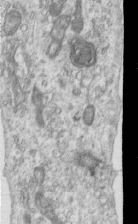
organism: Human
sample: Centriole in RPE cells